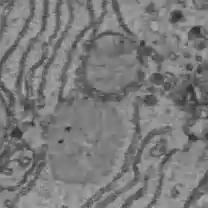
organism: C57BL Mouse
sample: Liver